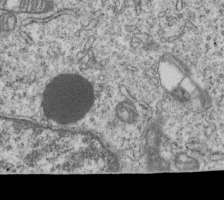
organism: Human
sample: MDA-MB-231 cells